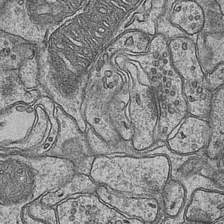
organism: Mouse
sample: CA1 Hippocampus